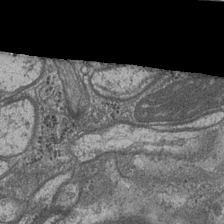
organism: Drosophila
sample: Optic medulla